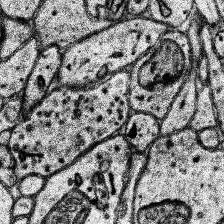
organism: Human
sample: Temporal Lobe